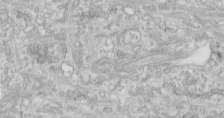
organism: Human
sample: Centriole in fibroblast cells